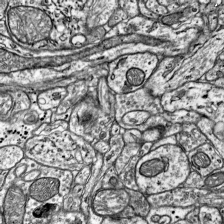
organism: Mouse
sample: Visual Cortex